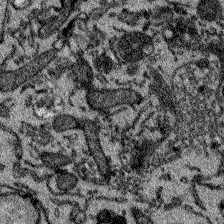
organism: Zebrafish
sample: Larval olfactory bulb